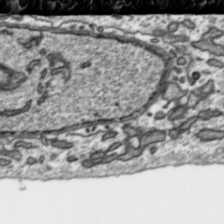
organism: Toxoplasma gondii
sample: Parasites in a vacuole inside a host cell